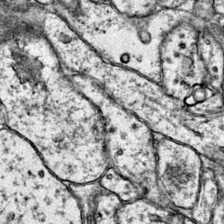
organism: Mouse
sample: Primary visual cortex